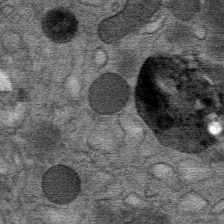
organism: Mouse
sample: Mouse Salivary gland